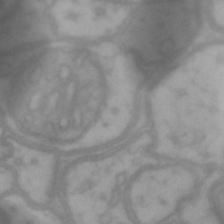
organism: Drosophila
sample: Brain